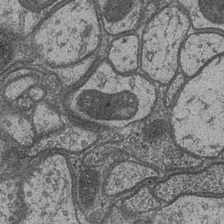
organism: Drosophila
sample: Optic medulla